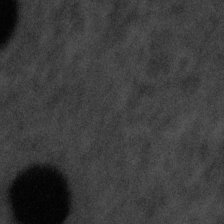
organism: Tuwongella immobilis